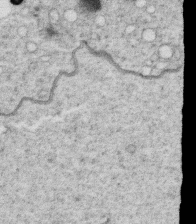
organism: C. elegans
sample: C. elegans oocyte; sperm cells